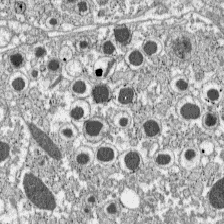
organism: C57BL Mouse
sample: Pancreatic islet